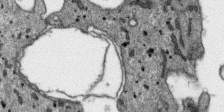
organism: Human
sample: Lung epithelial cells, uninfected (mock) control